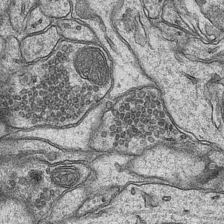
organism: Mouse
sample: CA1 Hippocampus